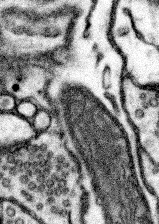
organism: Mouse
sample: Somatosensory cortex neuropil